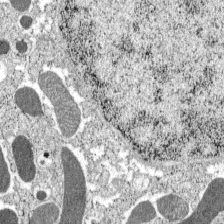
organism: C57BL Mouse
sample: Pancreatic islet